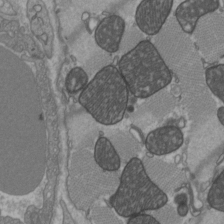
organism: C57BL Mouse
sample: Heart